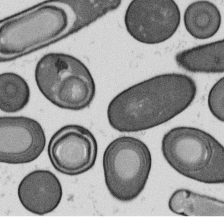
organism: B. subtilis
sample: Bacterial spore